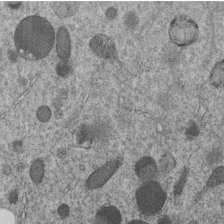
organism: C. elegans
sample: C. elegans embryo early stage